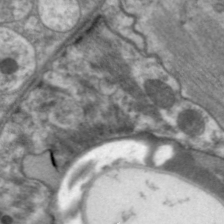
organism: C. elegans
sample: Pharynx